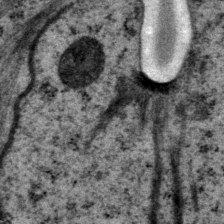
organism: P. pacificus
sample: Pharynx